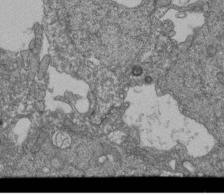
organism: Human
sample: Retinal organoid Rod and Cone cells